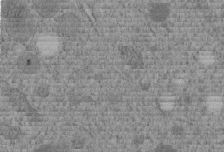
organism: C. elegans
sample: C. elegans embryo early stage